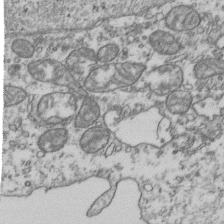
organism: Human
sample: Activated Jurkat CD4+ T cells